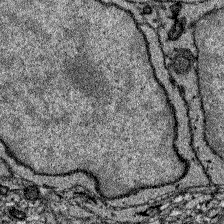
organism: Zebrafish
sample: Larval olfactory bulb